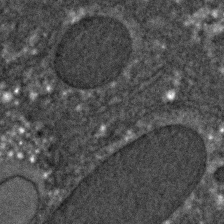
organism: C. elegans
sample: C. elegans embryo